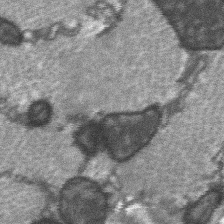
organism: C57BL Mouse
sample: Soleus